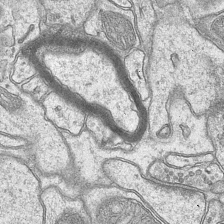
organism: Mouse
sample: CA1 Hippocampus